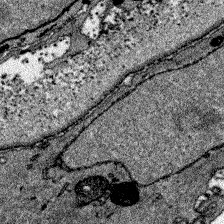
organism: Zebrafish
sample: Larval olfactory bulb